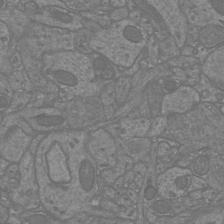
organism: Mouse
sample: Cortical neurons